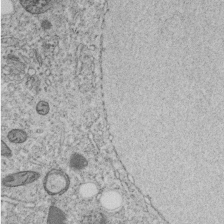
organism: C. elegans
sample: C. elegans embryo early stage